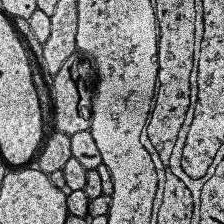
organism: Human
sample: Temporal Lobe